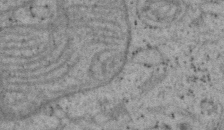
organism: Human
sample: HeLa cells